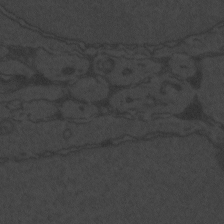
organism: Zebrafish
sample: Macrophage infected with Toxoplasma gondii